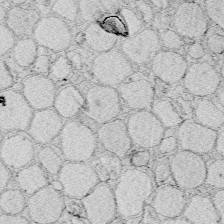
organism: Zebrafish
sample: Whole-Brain